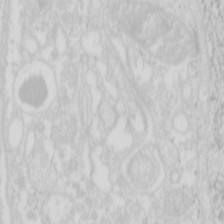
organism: Mouse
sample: Pancreas